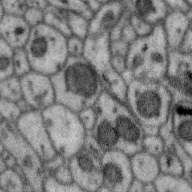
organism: Zebra finch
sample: Brain